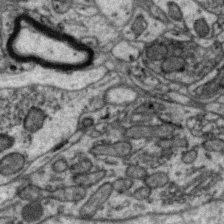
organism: Zebra finch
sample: Brain